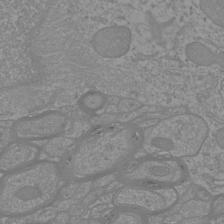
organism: Mouse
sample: Cortical neurons